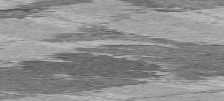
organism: C57BL Mouse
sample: Heart